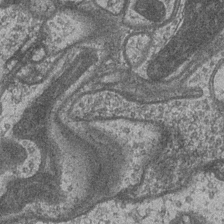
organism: Drosophila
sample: Optic medulla